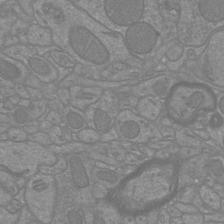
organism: Mouse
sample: Cortical neurons